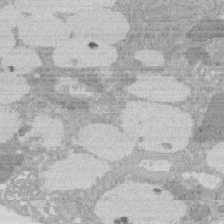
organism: Rat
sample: Salivary granule